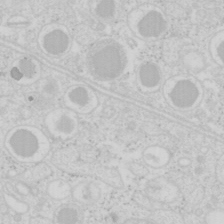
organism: Mouse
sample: Pancreas